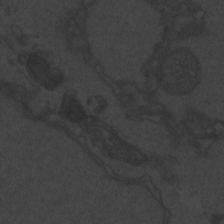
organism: Zebrafish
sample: Macrophage infected with Toxoplasma gondii